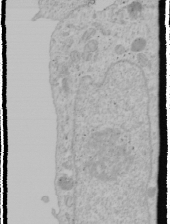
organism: Human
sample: Mitochondria in U2OS cells